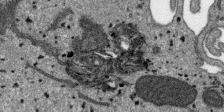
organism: Human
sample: Lung epithelial cells, uninfected (mock) control